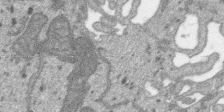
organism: Human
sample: Lung epithelial cells infected with SARS-CoV-2